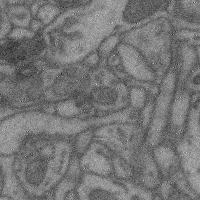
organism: Mouse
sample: Cerebral cortex